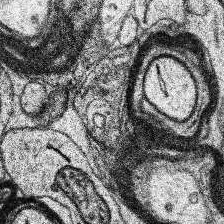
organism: Human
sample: Temporal Lobe